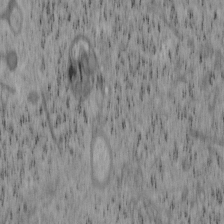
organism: Human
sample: HeLa cells